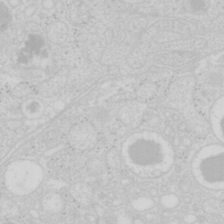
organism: Mouse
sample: Pancreas